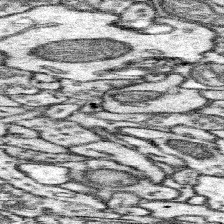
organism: Mouse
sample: Somatosensory cortex neuropil